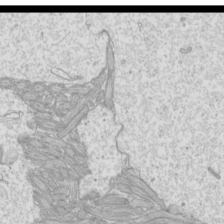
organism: Mouse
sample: Cilia; mouse epididymis